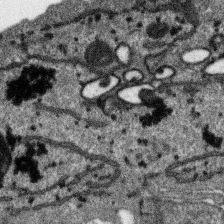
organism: Human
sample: Lung epithelial cells infected with SARS-CoV-2